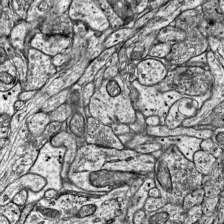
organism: Mouse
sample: Visual Cortex